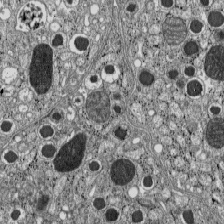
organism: C57BL Mouse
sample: Pancreatic islet